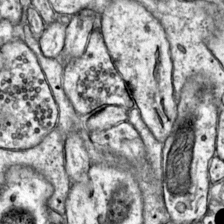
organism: Mouse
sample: Primary visual cortex